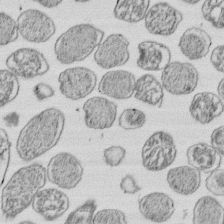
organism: E. coli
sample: Bacterial nucleoid